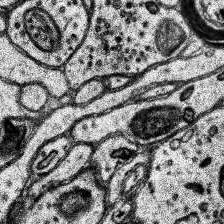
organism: Human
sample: Temporal Lobe